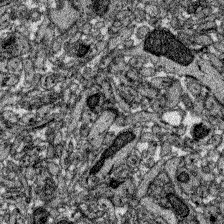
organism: Zebrafish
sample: Larval olfactory bulb